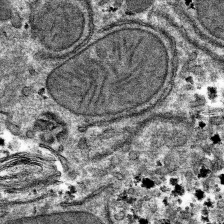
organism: Mouse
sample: Mouse hepatocytes